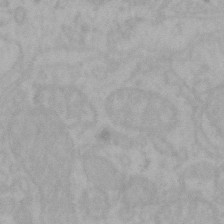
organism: Mouse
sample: Choroid plexus